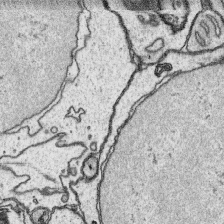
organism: Platynereis dumerilii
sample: Parapodia